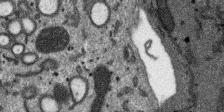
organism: Human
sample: Lung epithelial cells infected with SARS-CoV-2